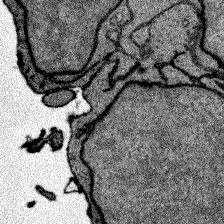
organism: Zebrafish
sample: Larval olfactory bulb